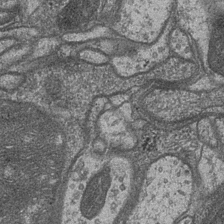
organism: Drosophila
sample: Optic medulla